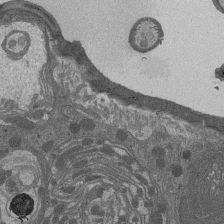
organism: Drosophila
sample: Antenna